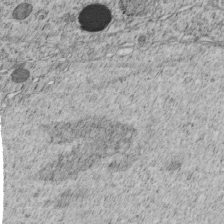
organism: C. elegans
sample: C. elegans embryo early stage